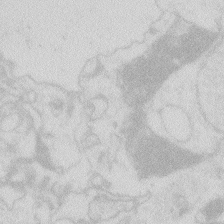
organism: Zebrafish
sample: Macrophage